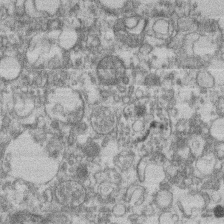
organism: Mouse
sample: T cell stromal cell synapse